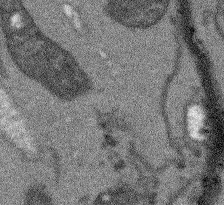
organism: Arabidopsis thaliana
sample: Root tip